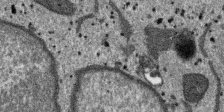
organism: Human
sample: Lung epithelial cells, uninfected (mock) control